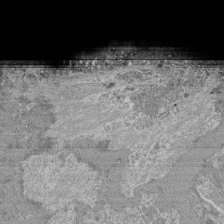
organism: Mouse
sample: Glomerulus